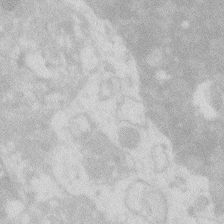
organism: Zebrafish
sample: Macrophage